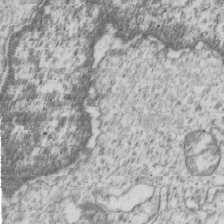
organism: Human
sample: MDA-MB-231 cells